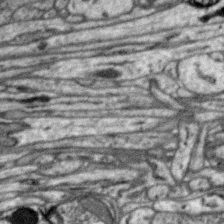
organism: Zebra finch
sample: Brain